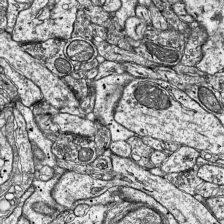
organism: Mouse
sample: Visual Cortex